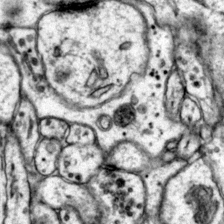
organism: Mouse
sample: Primary visual cortex